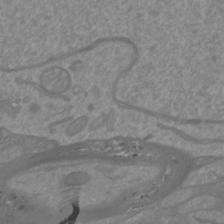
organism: Mouse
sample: Cortical neurons